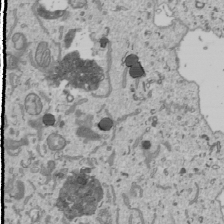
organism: Human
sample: Mitochondria in U2OS cells